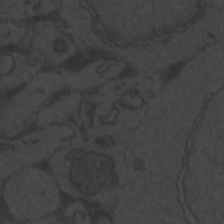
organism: Zebrafish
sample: Macrophage infected with Toxoplasma gondii